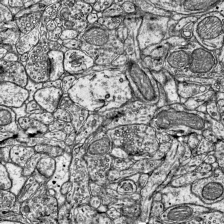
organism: Mouse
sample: Visual Cortex